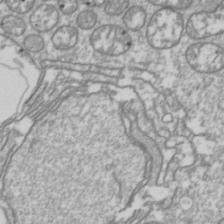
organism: Drosophila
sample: Cell division; meiosis; drosophila spermatocytes